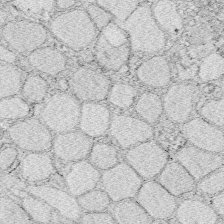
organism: Zebrafish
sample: Whole-Brain